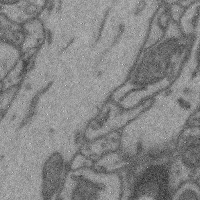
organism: Mouse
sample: Cerebral cortex